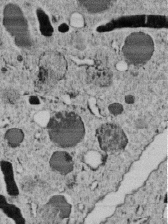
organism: C. elegans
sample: C. elegans embryo early stage